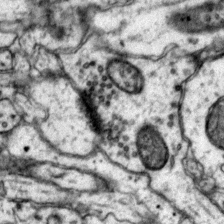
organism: Mouse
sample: Primary visual cortex